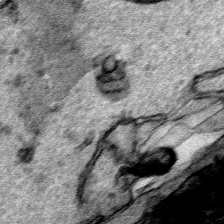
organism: Human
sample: Mitochondria in HCT116 cells